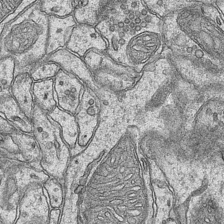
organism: Mouse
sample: CA1 Hippocampus